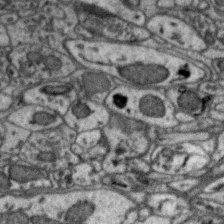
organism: Zebra finch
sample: Brain